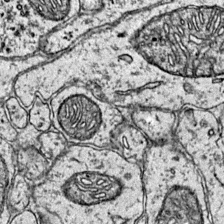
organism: Mouse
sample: Primary visual cortex